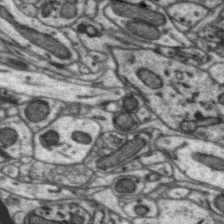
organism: Zebra finch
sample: Brain